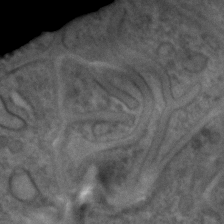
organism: C. elegans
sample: C. elegans embryo